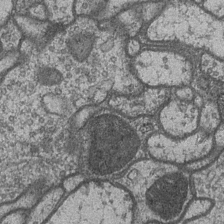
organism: Drosophila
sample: Optic medulla